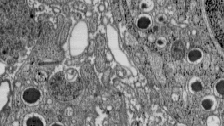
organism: C57BL Mouse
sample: Pancreatic islet